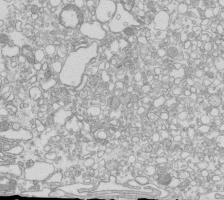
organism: Mouse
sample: Macrophages